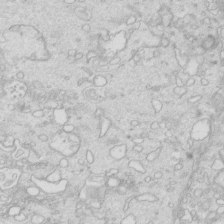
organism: Mouse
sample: Multiciliated cells